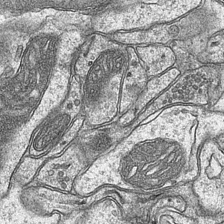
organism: Mouse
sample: CA1 Hippocampus